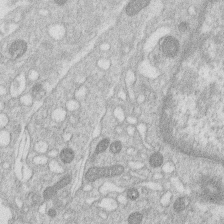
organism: Human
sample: Macrophage cells